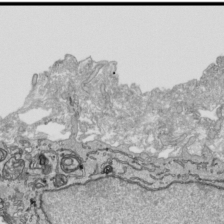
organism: Human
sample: Mitochondria in HCT116 cells